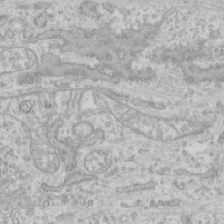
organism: Human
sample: CRL-1474